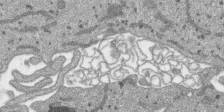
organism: Human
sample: Lung epithelial cells infected with SARS-CoV-2